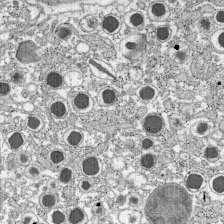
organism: C57BL Mouse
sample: Pancreatic islet